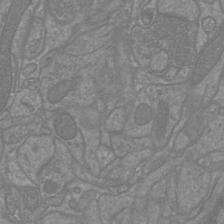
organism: Mouse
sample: Cortical neurons